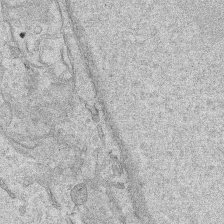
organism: Human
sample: Mitochondria in HCT116 cells